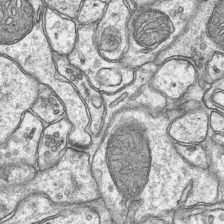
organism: Mouse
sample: CA1 Hippocampus